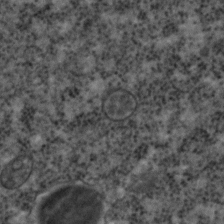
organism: C. elegans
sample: C. elegans embryo